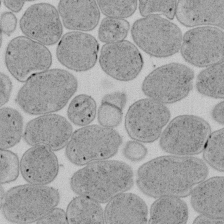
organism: E. coli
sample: Bacterial nucleoid